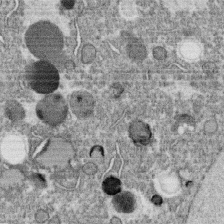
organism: C. elegans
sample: C. elegans oocyte; sperm cells